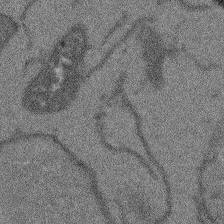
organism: Arabidopsis thaliana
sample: Root tip